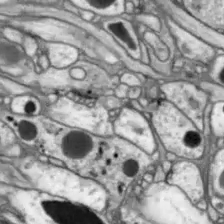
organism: Drosophila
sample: Optic lobe